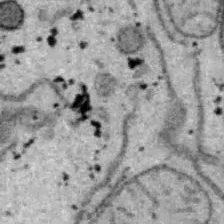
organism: Mouse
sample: Liver from an obese (ob/ob) mouse